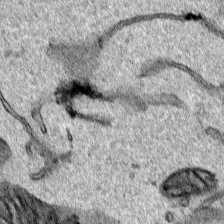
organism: Human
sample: Mitochondria in HCT116 cells